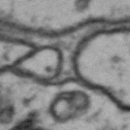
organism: Drosophila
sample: Brain